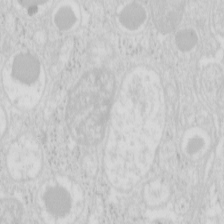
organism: Mouse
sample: Pancreas